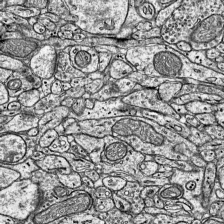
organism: Mouse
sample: Visual Cortex